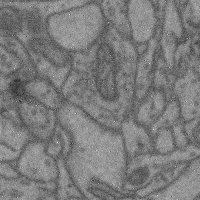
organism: Mouse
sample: Cerebral cortex